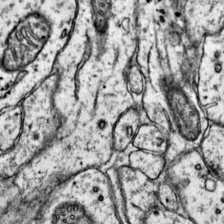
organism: Mouse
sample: Primary visual cortex